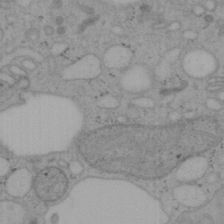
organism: Mouse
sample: OT-I killer T cells with ID8 ovarian cancer cells